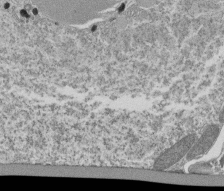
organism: Tetrahymena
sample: Cilia in tetrahymena